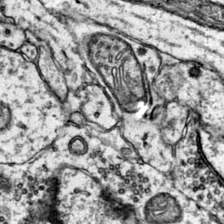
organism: Mouse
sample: Primary visual cortex